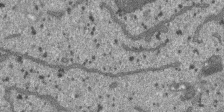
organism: Human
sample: Lung epithelial cells infected with SARS-CoV-2